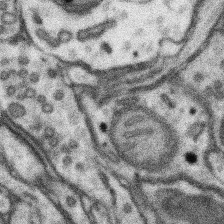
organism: Mouse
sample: Somatosensory cortex neuropil